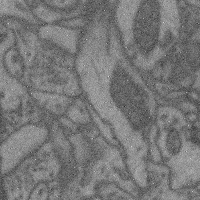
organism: Mouse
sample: Cerebral cortex